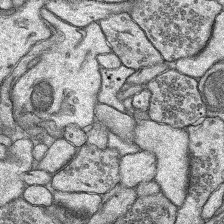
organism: Rat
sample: Hippocampus